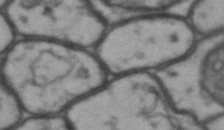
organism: Drosophila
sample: Brain